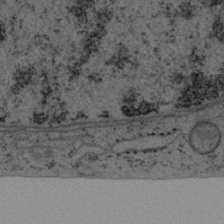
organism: Human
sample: HeLa cells